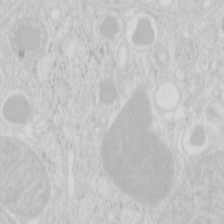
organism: Mouse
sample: Pancreas